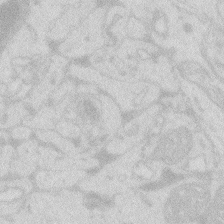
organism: Zebrafish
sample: Macrophage